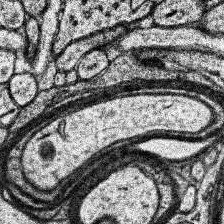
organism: Human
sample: Temporal Lobe